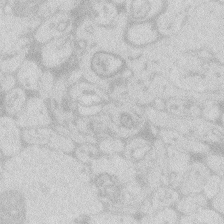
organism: Zebrafish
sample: Macrophage